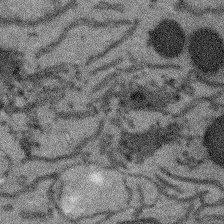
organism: Arabidopsis thaliana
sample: Root tip